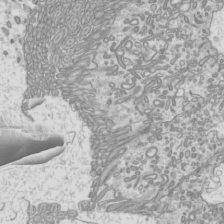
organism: Mouse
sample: Cilia; mouse epididymis